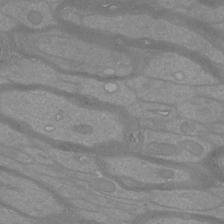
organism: Mouse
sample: Cortical neurons